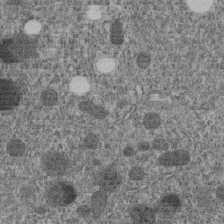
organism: C. elegans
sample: C. elegans embryo early stage